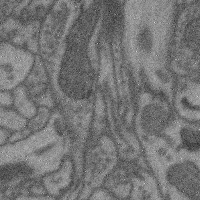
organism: Mouse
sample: Cerebral cortex